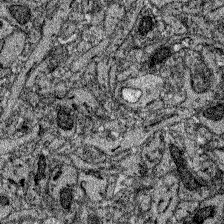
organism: Zebrafish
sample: Larval olfactory bulb